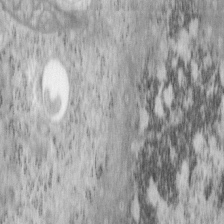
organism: Human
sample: HeLa cells